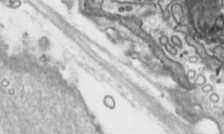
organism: Toxoplasma gondii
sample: Parasites in a vacuole inside a host cell